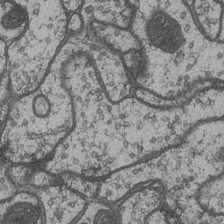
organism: Drosophila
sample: Optic medulla